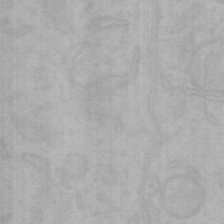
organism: Mouse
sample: Choroid plexus